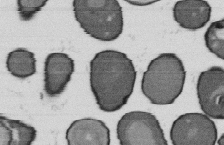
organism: B. subtilis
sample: Bacterial spore